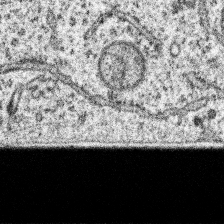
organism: Human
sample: HeLa cells